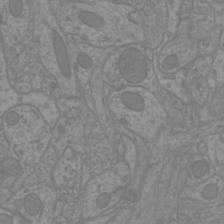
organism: Mouse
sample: Cortical neurons